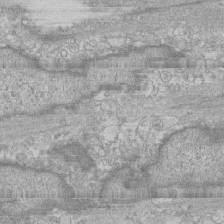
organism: Human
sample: CRL-1474